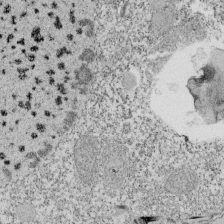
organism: Tetrahymena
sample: Cilia in tetrahymena